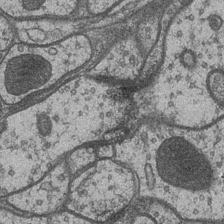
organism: Drosophila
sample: Optic medulla